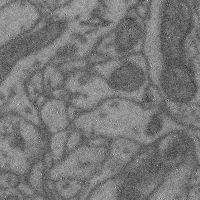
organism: Mouse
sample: Cerebral cortex